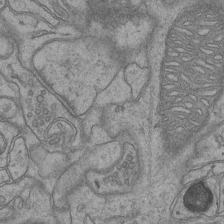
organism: Mouse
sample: CA1 Hippocampus